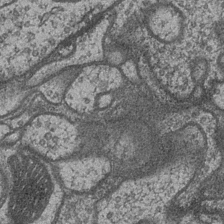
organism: Drosophila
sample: Optic medulla